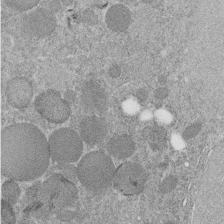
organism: C. elegans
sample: C. elegans embryo early stage